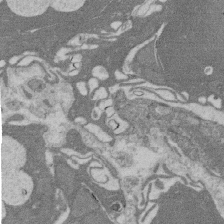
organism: Rat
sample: Salivary granule